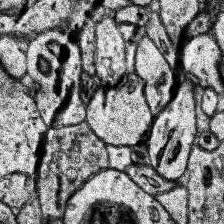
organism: Human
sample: Temporal Lobe